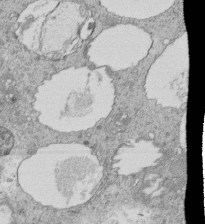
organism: Tetrahymena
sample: Cilia in tetrahymena